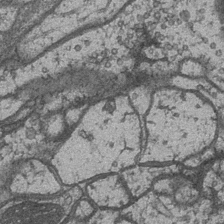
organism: Drosophila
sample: Optic medulla